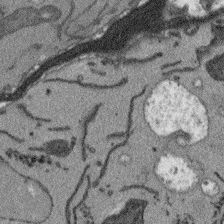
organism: Arabidopsis thaliana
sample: Root tip